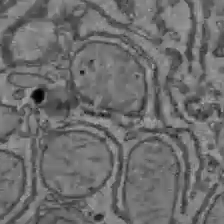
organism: C57BL Mouse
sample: Liver